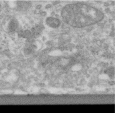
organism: Human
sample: Centriole in RPE cells